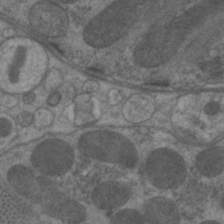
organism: C. elegans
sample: Pharynx